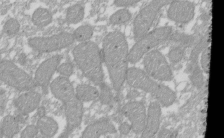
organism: Xenopus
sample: Cilia; centrioles in frog embryo cells